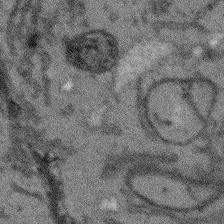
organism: Arabidopsis thaliana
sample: Root tip